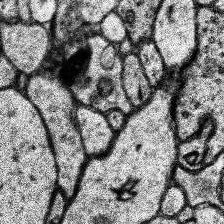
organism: Human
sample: Temporal Lobe